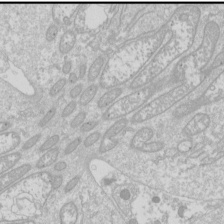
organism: Drosophila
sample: Cell division; meiosis; drosophila spermatocytes